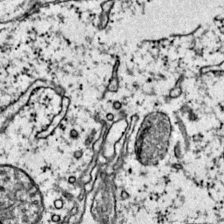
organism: Mouse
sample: Primary visual cortex